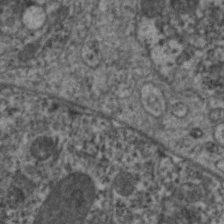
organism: C. elegans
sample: Pharynx